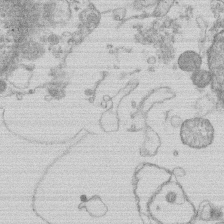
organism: Human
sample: Macrophage cells